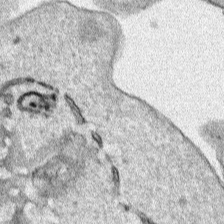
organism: Human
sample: Mitochondria in HCT116 cells